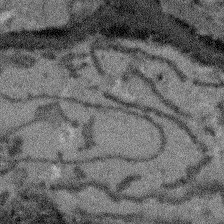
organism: Arabidopsis thaliana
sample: Root tip